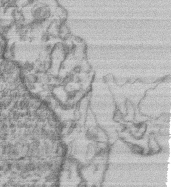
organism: Mouse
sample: T cell stromal cell synapse